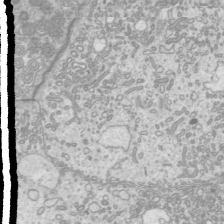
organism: Mouse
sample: Cilia; mouse epididymis